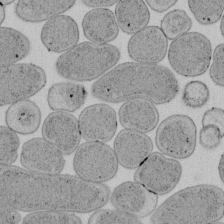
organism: E. coli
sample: Bacterial nucleoid